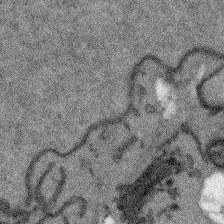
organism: Arabidopsis thaliana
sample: Root tip